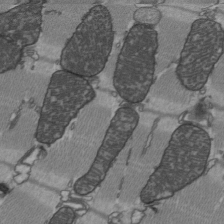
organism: C57BL Mouse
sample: Heart